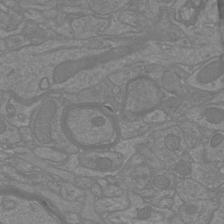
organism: Mouse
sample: Cortical neurons